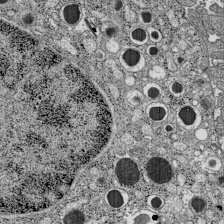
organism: C57BL Mouse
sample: Pancreatic islet